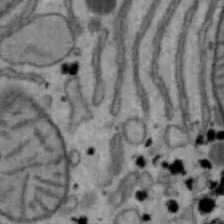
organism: Mouse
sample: Liver